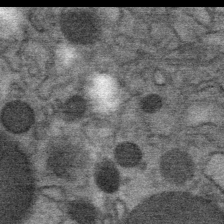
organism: Mouse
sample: Mouse Salivary gland